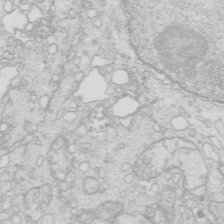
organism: Mouse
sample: Multiciliated cells